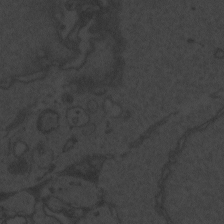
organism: Zebrafish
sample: Macrophage infected with Toxoplasma gondii